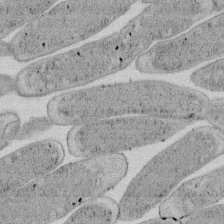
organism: E. coli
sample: Bacterial nucleoid